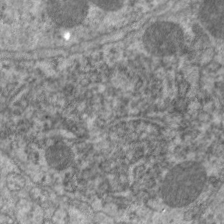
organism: C. elegans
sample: Pharynx